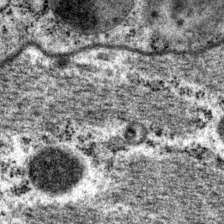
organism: P. pacificus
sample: Pharynx